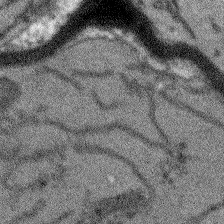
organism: Arabidopsis thaliana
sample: Root tip